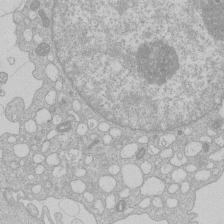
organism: Human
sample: Macrophage cells